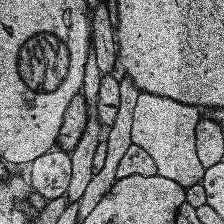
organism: Human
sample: Temporal Lobe